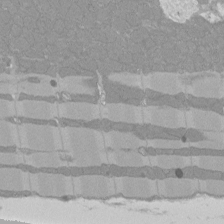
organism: Rat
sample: Left ventricle